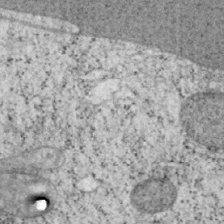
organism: Mouse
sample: OT-I killer T cells with ID8 ovarian cancer cells